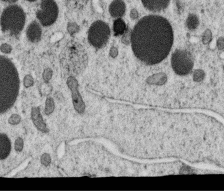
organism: C. elegans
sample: C. elegans oocyte; sperm cells